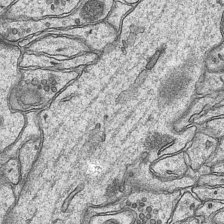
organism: Mouse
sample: CA1 Hippocampus